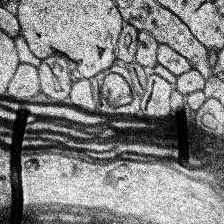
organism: Human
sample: Temporal Lobe